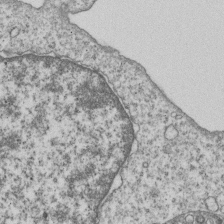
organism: Human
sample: MDA-MB-231 cells